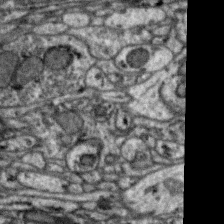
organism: Zebra finch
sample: Brain